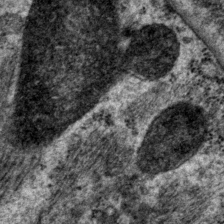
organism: P. pacificus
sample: Pharynx